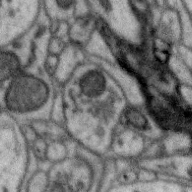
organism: Zebra finch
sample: Brain